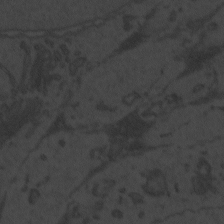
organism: Zebrafish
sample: Macrophage infected with Toxoplasma gondii